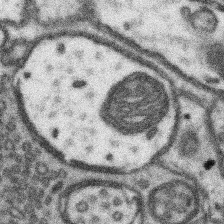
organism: Mouse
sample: Somatosensory cortex neuropil